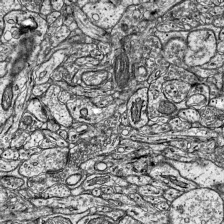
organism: Mouse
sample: Visual Cortex